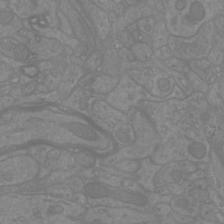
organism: Mouse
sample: Cortical neurons